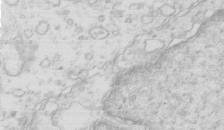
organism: Mouse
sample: Multiciliated cells